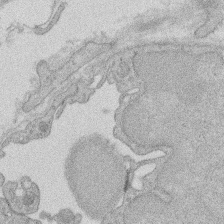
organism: Rat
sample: Salivary granule